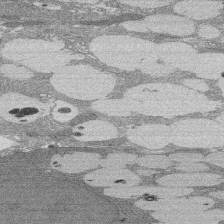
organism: Rat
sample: Salivary granule